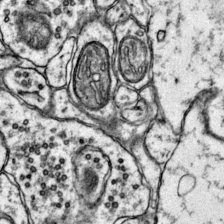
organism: Mouse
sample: Primary visual cortex